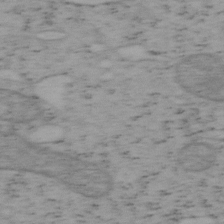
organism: Mouse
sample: OT-I killer T cells with ID8 ovarian cancer cells